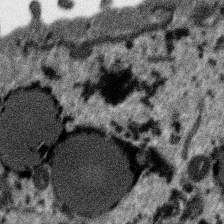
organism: Human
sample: Lung epithelial cells infected with SARS-CoV-2